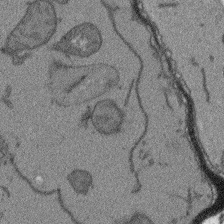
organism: Arabidopsis thaliana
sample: Root tip